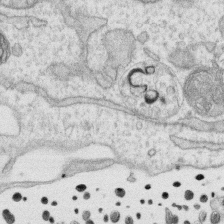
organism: Human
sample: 1205lu cells